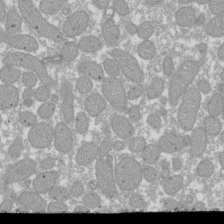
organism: Xenopus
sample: Cilia; centrioles in frog embryo cells